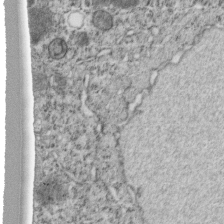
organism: C. elegans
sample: C. elegans embryo early stage